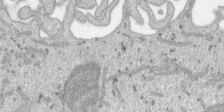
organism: Human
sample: Lung epithelial cells infected with SARS-CoV-2